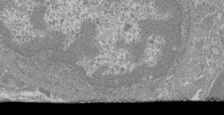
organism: Mouse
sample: Glomerulus